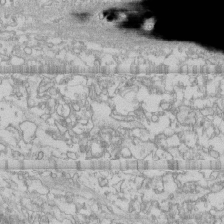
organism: Human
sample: CRL-1474